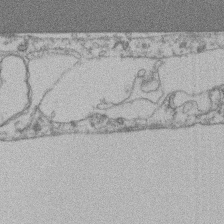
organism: Mouse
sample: T cell stromal cell synapse